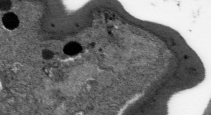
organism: Plasmodium falciparum